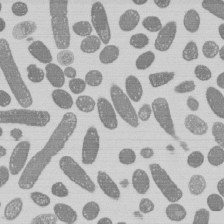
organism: E. coli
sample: Bacterial nucleoid